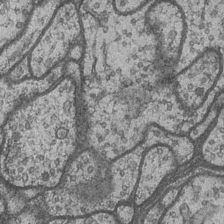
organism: Drosophila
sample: Optic medulla